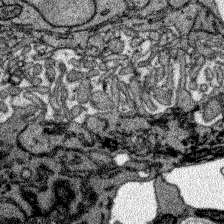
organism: Zebrafish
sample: Larval olfactory bulb